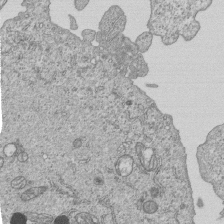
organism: Human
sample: MDA-MB-231 cells